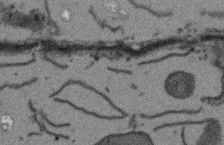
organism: Arabidopsis thaliana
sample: Root tip